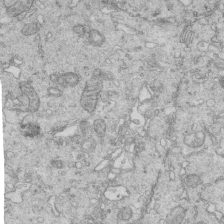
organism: Mouse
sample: Multiciliated cells